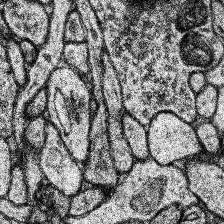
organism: Human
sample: Temporal Lobe